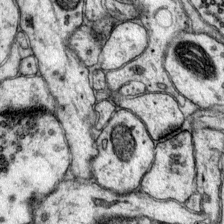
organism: Mouse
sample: Primary visual cortex